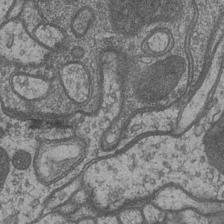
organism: Drosophila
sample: Optic medulla